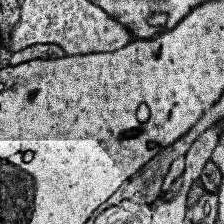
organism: Human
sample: Temporal Lobe